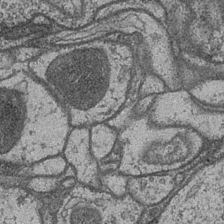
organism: Drosophila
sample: Optic medulla